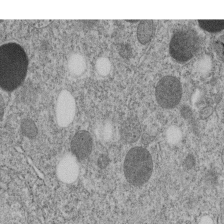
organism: C. elegans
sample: C. elegans embryo early stage